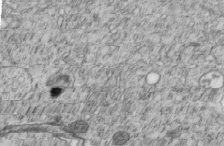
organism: C. elegans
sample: C. elegans embryo early stage